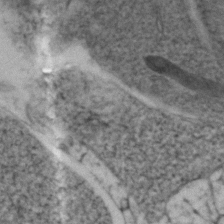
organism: Zebrafish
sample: Zebrafish embryo